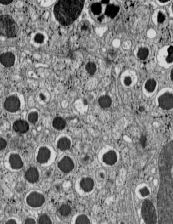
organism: C57BL Mouse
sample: Pancreatic islet